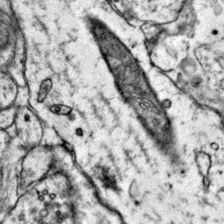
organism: Mouse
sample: Primary visual cortex